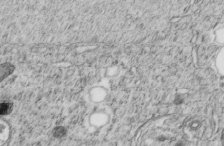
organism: C. elegans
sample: C. elegans embryo early stage